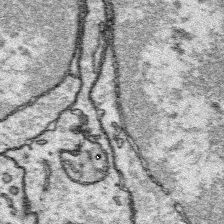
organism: Platynereis dumerilii